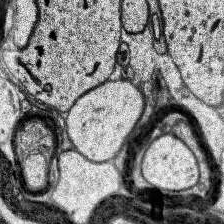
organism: Human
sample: Temporal Lobe